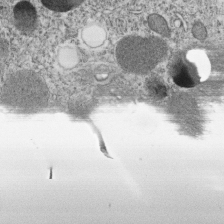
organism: C. elegans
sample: C. elegans embryo early stage